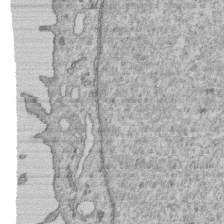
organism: Human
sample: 1205lu cells